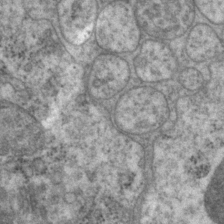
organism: P. pacificus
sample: Pharynx